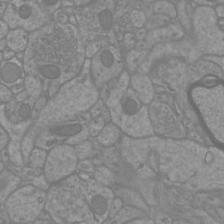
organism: Mouse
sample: Cortical neurons